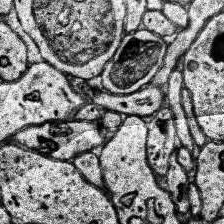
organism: Human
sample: Temporal Lobe